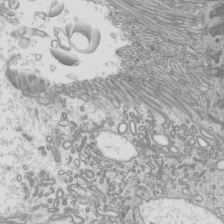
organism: Mouse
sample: Cilia; mouse epididymis